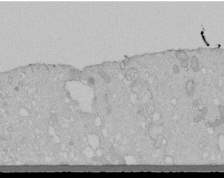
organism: Human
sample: Melanocyte Keratinocyte synapse skin construct